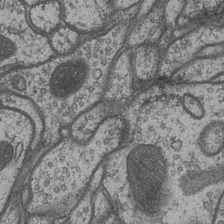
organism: Drosophila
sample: Optic medulla